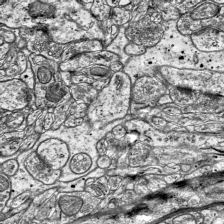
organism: Mouse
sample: Visual Cortex